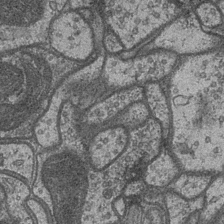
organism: Drosophila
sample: Optic medulla